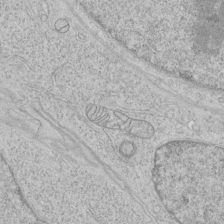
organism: Human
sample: Mitochondria in HCT116 cells